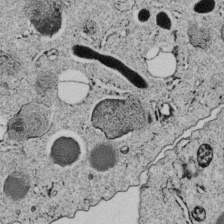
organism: C. elegans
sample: C. elegans embryo early stage